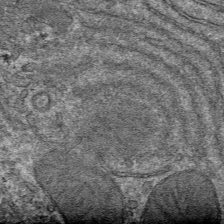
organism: Mouse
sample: Mouse hepatocytes